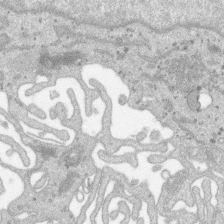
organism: Human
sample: Lung epithelial cells infected with SARS-CoV-2